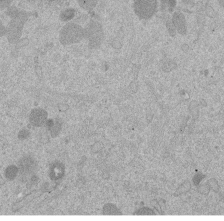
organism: Mouse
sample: Dividing mouse embryo 1 cell stage